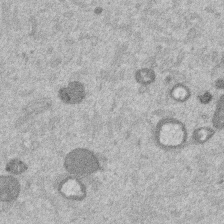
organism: Mouse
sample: Dividing mouse embryo 1 cell stage